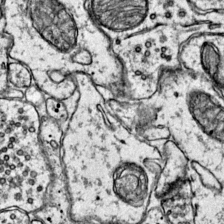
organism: Mouse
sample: Primary visual cortex